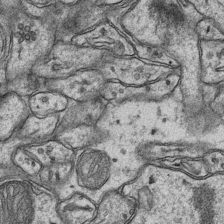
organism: Mouse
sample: CA1 Hippocampus